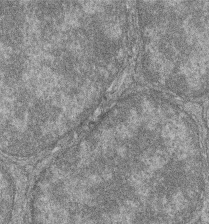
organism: Zebrafish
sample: Cilia; retinal pigment epithelium